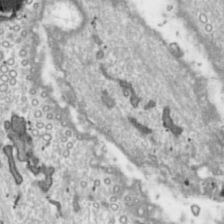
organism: Toxoplasma gondii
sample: Parasites in a vacuole inside a host cell